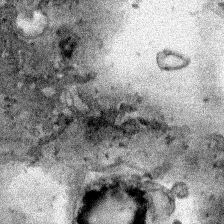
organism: Human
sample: Mitochondria in HCT116 cells